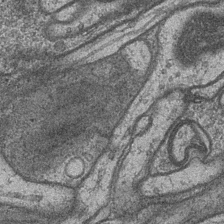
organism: Drosophila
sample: Optic medulla